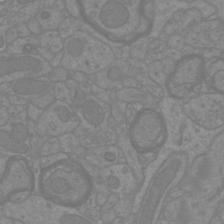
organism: Mouse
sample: Cortical neurons